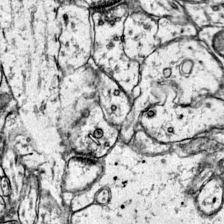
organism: Mouse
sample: Primary visual cortex